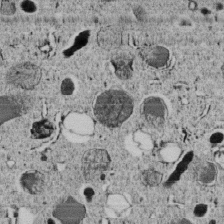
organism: C. elegans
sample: C. elegans embryo early stage